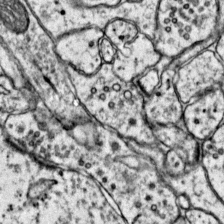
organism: Mouse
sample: Primary visual cortex